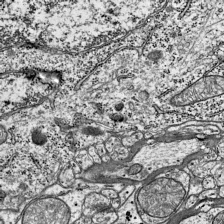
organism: Mouse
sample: Visual Cortex